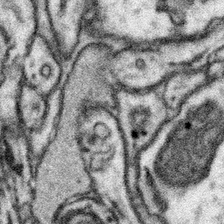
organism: Mouse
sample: Somatosensory cortex neuropil